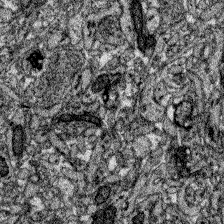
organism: Zebrafish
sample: Larval olfactory bulb